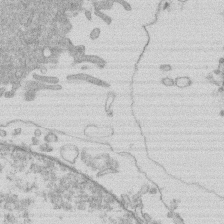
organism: Human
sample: Macrophage cells